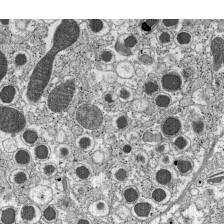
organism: C57BL Mouse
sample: Pancreatic islet